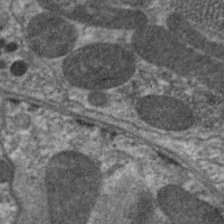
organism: C. elegans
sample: Pharynx